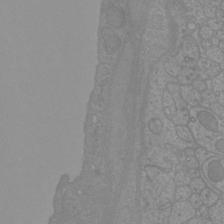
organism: Mouse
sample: Cortical neurons